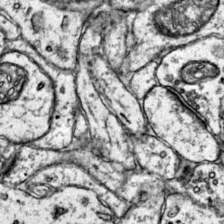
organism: Mouse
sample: Primary visual cortex